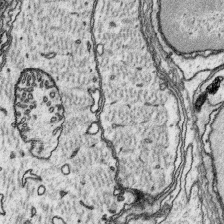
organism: Platynereis dumerilii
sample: Parapodia